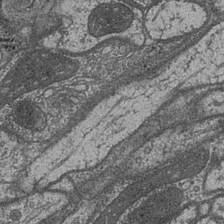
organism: Drosophila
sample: Optic medulla